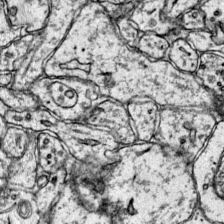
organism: Mouse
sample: Primary visual cortex